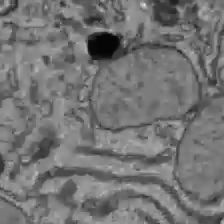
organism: C57BL Mouse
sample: Liver